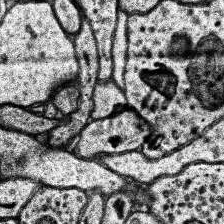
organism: Human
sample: Temporal Lobe